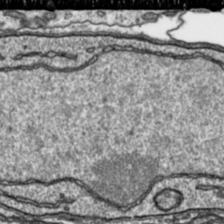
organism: Toxoplasma gondii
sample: Parasites in a vacuole inside a host cell